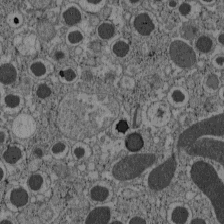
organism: C57BL Mouse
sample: Pancreatic islet